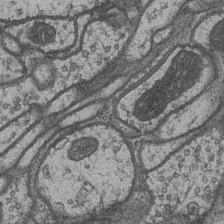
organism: Drosophila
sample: Optic medulla